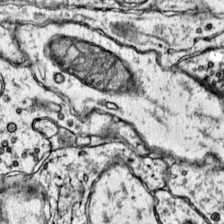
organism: Mouse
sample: Primary visual cortex